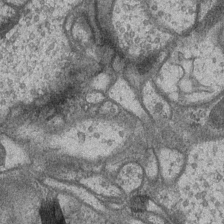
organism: Drosophila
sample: Optic medulla